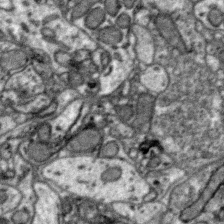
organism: Zebra finch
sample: Brain